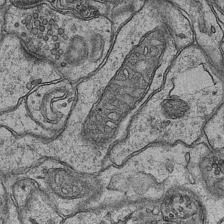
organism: Mouse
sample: CA1 Hippocampus